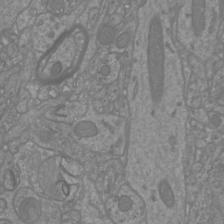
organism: Mouse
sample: Cortical neurons